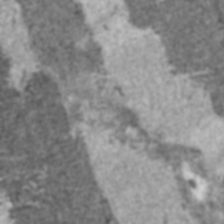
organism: C57BL Mouse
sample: Heart